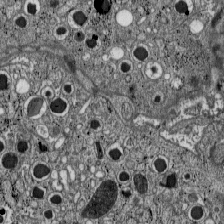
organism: C57BL Mouse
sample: Pancreatic islet